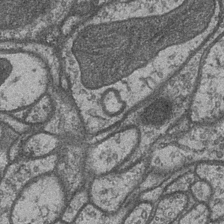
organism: Drosophila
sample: Optic medulla